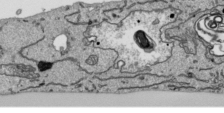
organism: Human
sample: Mitochondria in HCT116 cells